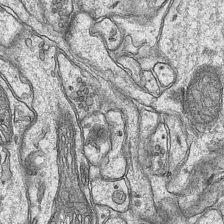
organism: Mouse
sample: CA1 Hippocampus